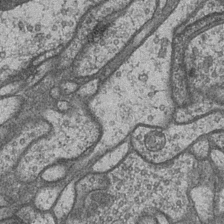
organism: Drosophila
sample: Optic medulla